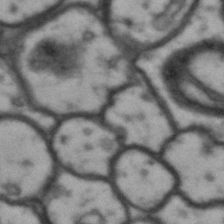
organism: Drosophila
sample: Brain